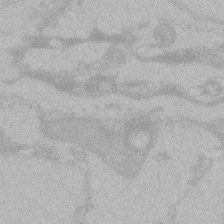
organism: Zebrafish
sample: Macrophage infected with Toxoplasma gondii